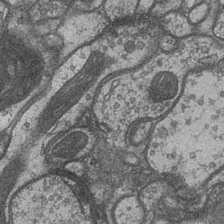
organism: Drosophila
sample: Optic medulla